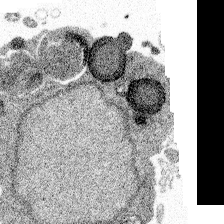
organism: Spongilla lacustris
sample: Multiple